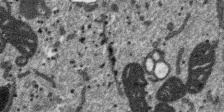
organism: Human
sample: Lung epithelial cells infected with SARS-CoV-2